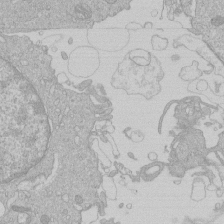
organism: Human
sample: Macrophage cells